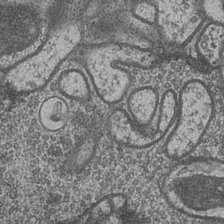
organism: Drosophila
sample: Optic medulla